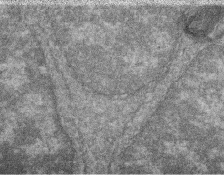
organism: Zebrafish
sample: Cilia; retinal pigment epithelium